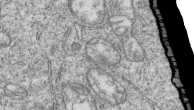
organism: Human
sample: HeLa cell HIV synapse